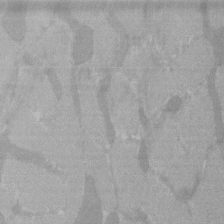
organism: C57BL Mouse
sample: Tibialis anterior muscle cell